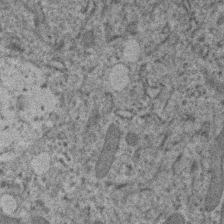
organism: Human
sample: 1205lu cells